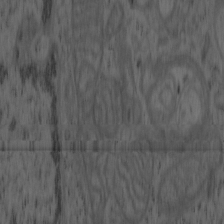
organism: Human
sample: HeLa cells